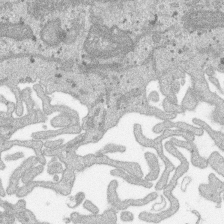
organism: Human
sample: Lung epithelial cells infected with SARS-CoV-2